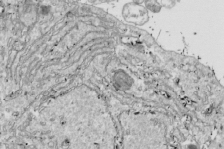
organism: Drosophila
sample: Cell division; meiosis; drosophila spermatocytes